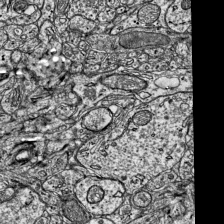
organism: Mouse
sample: Visual Cortex